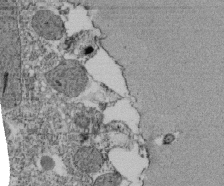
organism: Tetrahymena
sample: Cilia in tetrahymena